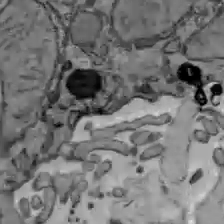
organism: C57BL Mouse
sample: Liver